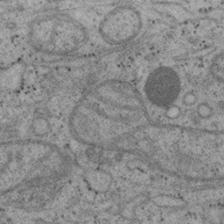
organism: Human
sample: HeLa cells